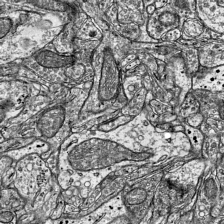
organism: Mouse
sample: Visual Cortex